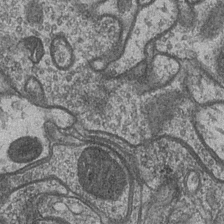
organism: Drosophila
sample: Optic medulla